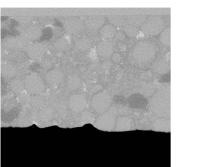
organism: C. elegans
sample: C. elegans oocyte; sperm cells